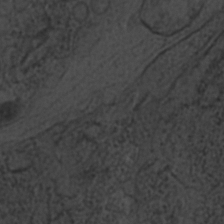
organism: C. elegans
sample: C. elegans embryo